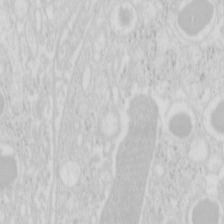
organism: Mouse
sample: Pancreas